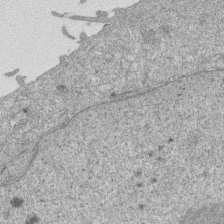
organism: Human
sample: HeLa cell HIV synapse